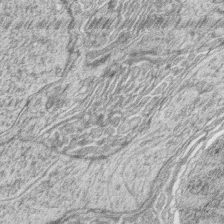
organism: Zebrafish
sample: synaptic ribbons in rod cells and cone cells